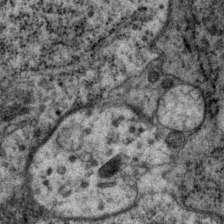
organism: P. pacificus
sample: Pharynx